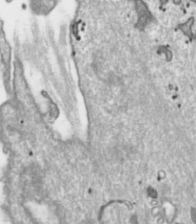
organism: Toxoplasma gondii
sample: Parasites in a vacuole inside a host cell